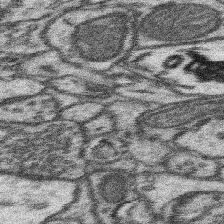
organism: Mouse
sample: Somatosensory cortex neuropil